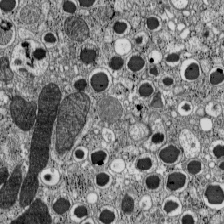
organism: C57BL Mouse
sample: Pancreatic islet